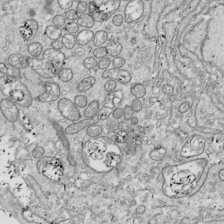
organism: Drosophila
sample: Cell division; meiosis; drosophila spermatocytes